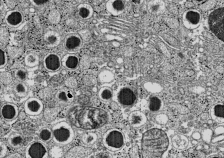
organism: C57BL Mouse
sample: Pancreatic islet